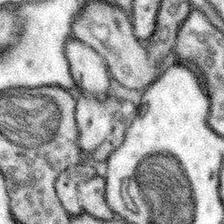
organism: Mouse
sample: Somatosensory cortex neuropil